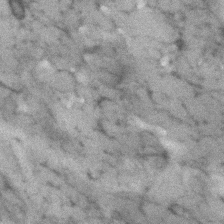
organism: Human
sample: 1205lu cells